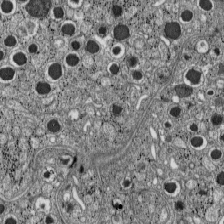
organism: C57BL Mouse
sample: Pancreatic islet